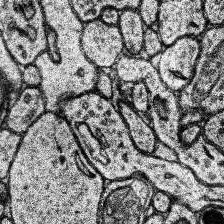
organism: Human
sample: Temporal Lobe